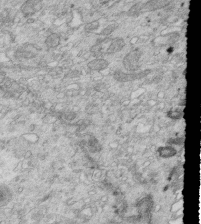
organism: Mouse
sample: Multiciliated cells